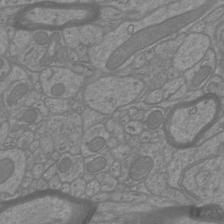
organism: Mouse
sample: Cortical neurons